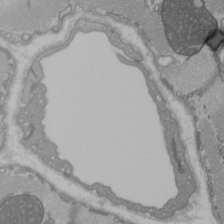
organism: C57BL Mouse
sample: Heart